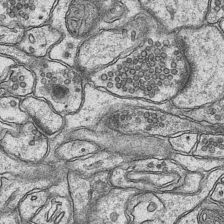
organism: Mouse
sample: CA1 Hippocampus